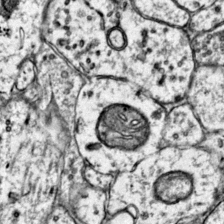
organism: Mouse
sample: Primary visual cortex